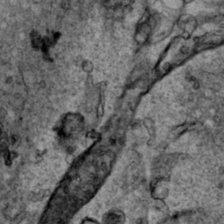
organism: Human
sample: Mitochondria in HCT116 cells